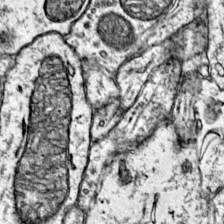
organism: Mouse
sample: Primary visual cortex